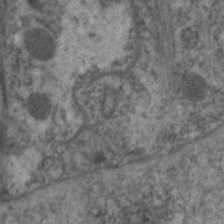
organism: C. elegans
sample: Pharynx